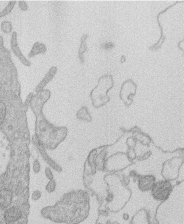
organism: Human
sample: Macrophage cells